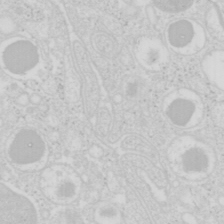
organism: Mouse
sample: Pancreas